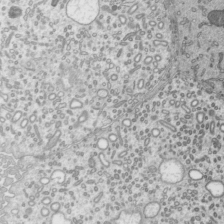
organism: Mouse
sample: Mouse epididymis efferent ductule cilia